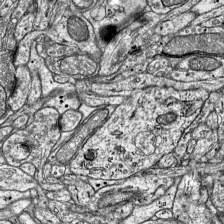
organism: Mouse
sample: Visual Cortex